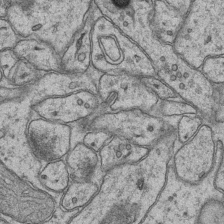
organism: Mouse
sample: CA1 Hippocampus